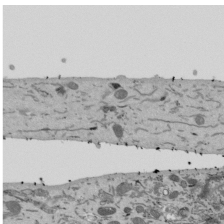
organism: Mouse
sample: ED-1 cell nuclei; centrioles